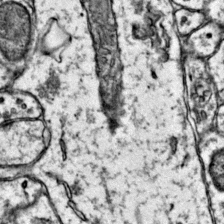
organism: Mouse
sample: Primary visual cortex